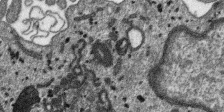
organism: Human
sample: Lung epithelial cells infected with SARS-CoV-2